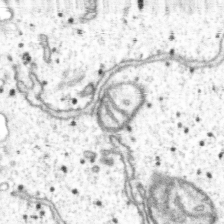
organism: Human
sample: HeLa cells